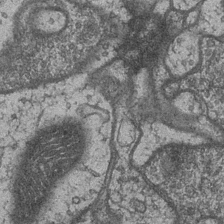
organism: Drosophila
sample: Optic medulla